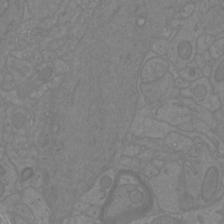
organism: Mouse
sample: Cortical neurons